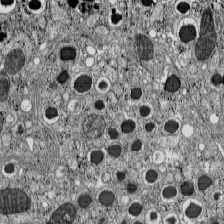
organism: C57BL Mouse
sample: Pancreatic islet